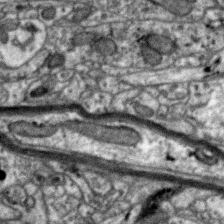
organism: Zebra finch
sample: Brain